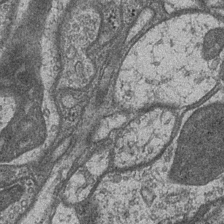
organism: Drosophila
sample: Optic medulla